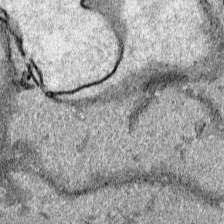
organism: Human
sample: Mitochondria in HCT116 cells